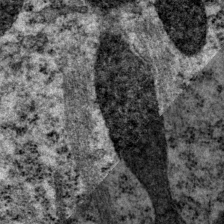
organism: P. pacificus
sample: Pharynx